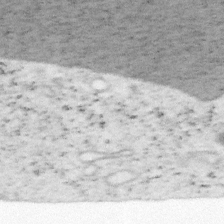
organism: Mouse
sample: OT-I killer T cells with ID8 ovarian cancer cells